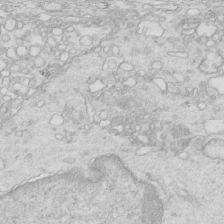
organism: Mouse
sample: Multiciliated cells